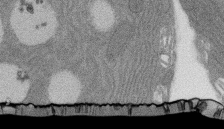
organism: Rat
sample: Salivary granule